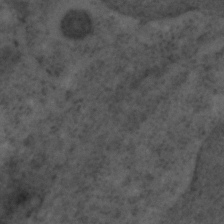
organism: C. elegans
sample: C. elegans embryo